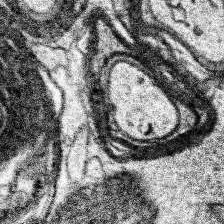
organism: Human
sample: Temporal Lobe